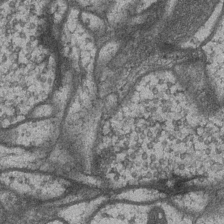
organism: Drosophila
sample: Optic medulla